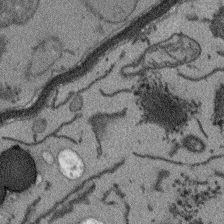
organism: Arabidopsis thaliana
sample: Root tip